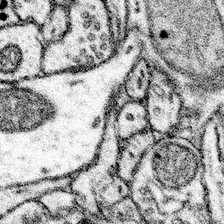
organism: Mouse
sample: Somatosensory cortex neuropil